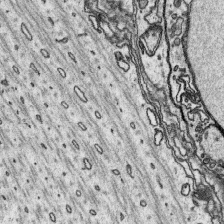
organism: Platynereis dumerilii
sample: Parapodia